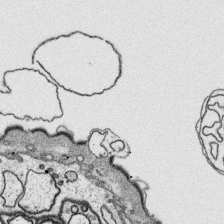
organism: Platynereis dumerilii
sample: Parapodia